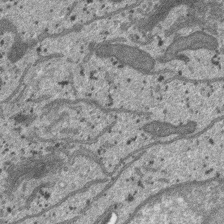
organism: Human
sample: Lung epithelial cells infected with SARS-CoV-2